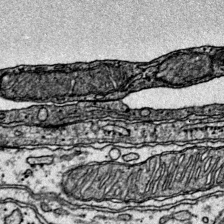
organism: Mouse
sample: Primary visual cortex